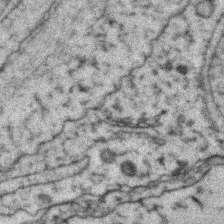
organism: Zebrafish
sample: Zebrafish embryo